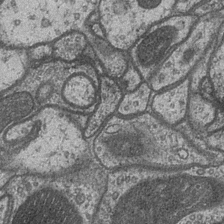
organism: Drosophila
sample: Optic medulla